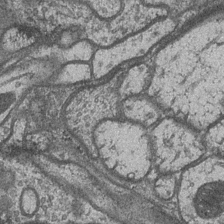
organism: Drosophila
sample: Optic medulla